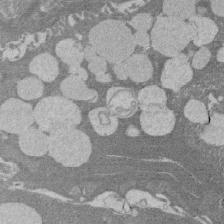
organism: Rat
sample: Salivary granule